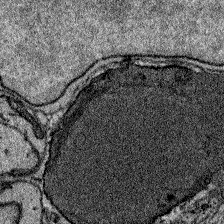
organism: Zebrafish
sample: Larval olfactory bulb